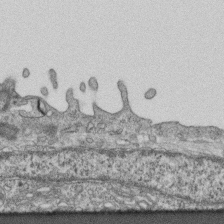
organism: Mouse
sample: Centriole in ependymal cells